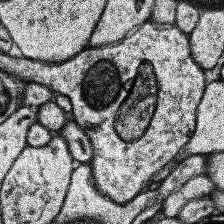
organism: Human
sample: Temporal Lobe